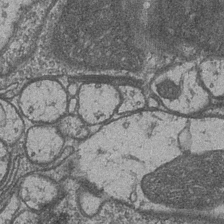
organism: Drosophila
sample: Optic medulla